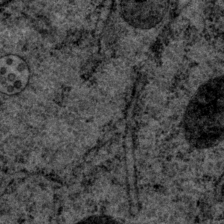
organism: P. pacificus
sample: Pharynx